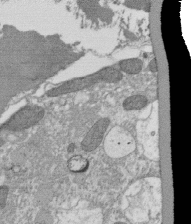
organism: Tetrahymena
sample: Cilia in tetrahymena